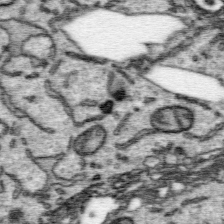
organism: Human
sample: HeLa cells